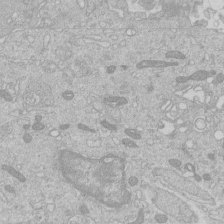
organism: Human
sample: Macrophage cells